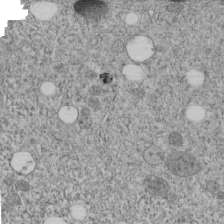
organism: C. elegans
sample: C. elegans embryo early stage